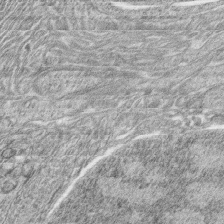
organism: Zebrafish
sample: synaptic ribbons in rod cells and cone cells